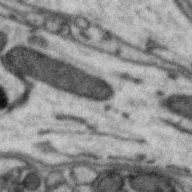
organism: Zebra finch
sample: Brain